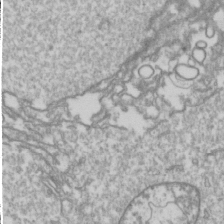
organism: Drosophila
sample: Cell division; meiosis; drosophila spermatocytes